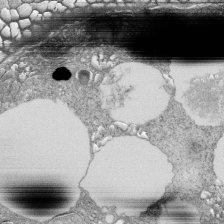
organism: Tetrahymena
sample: Cilia in tetrahymena